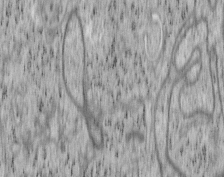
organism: Human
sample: HeLa cells